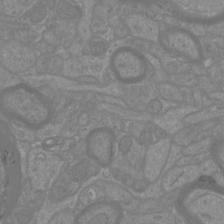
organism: Mouse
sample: Cortical neurons